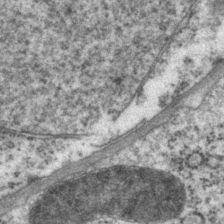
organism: P. pacificus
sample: Pharynx